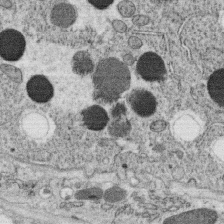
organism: C. elegans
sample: C. elegans oocyte; sperm cells